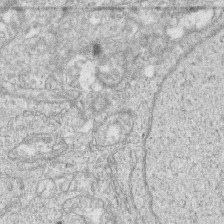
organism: Human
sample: HeLa cell HIV synapse